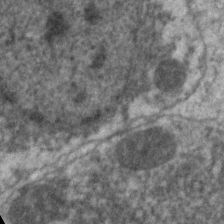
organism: C. elegans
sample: Pharynx